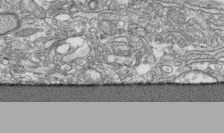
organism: Human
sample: CRL-1474